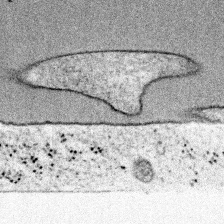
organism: Human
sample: HeLa cells